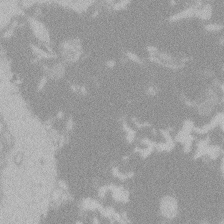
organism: Zebrafish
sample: Macrophage infected with Toxoplasma gondii